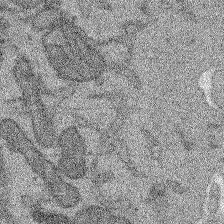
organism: Human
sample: HeLa cells